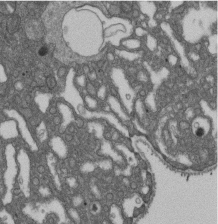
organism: Drosophila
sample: Nephrocyte